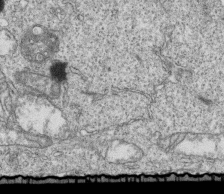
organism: Human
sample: HeLa cell HIV synapse